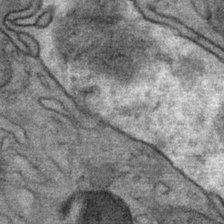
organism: Mouse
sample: Mouse Salivary gland